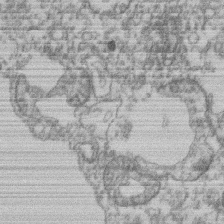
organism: Mouse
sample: T cell stromal cell synapse